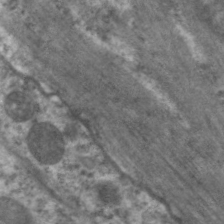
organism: C. elegans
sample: Pharynx